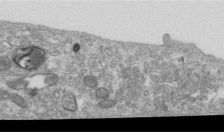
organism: Human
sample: Centriole in RPE cells